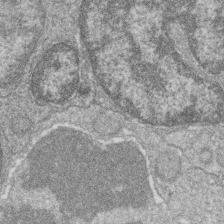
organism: Zebrafish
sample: Cilia; retinal pigment epithelium